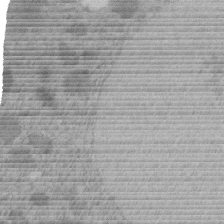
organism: C. elegans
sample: C. elegans embryo early stage